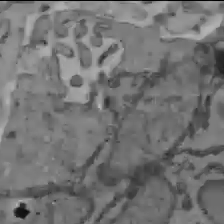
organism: C57BL Mouse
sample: Liver